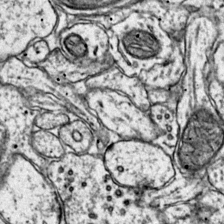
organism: Mouse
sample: Primary visual cortex